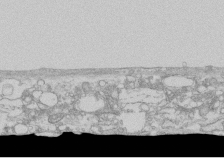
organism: Human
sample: CRL-1474